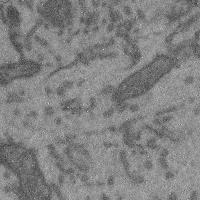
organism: Mouse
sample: Cerebral cortex